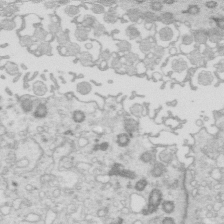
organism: Mouse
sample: Multiciliated cells